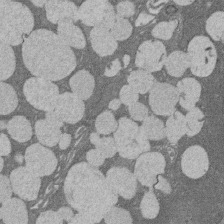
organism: Rat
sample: Salivary granule